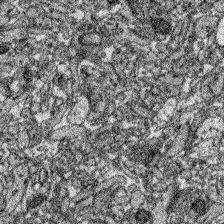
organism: Zebrafish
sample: Larval olfactory bulb